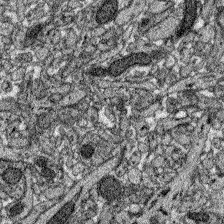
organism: Zebrafish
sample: Larval olfactory bulb